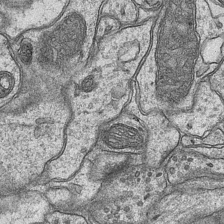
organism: Mouse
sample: CA1 Hippocampus